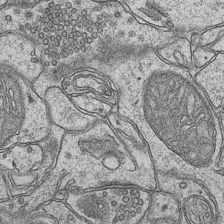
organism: Mouse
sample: CA1 Hippocampus